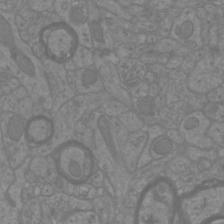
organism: Mouse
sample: Cortical neurons